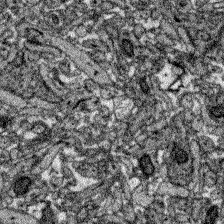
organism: Zebrafish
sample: Larval olfactory bulb